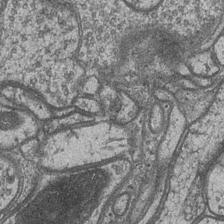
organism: Drosophila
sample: Optic medulla